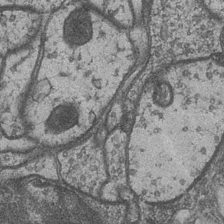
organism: Drosophila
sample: Optic medulla